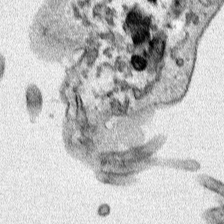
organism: Human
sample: Mitochondria in HCT116 cells